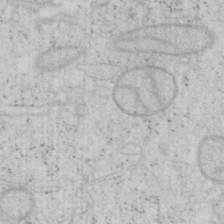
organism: Human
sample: HeLa cells